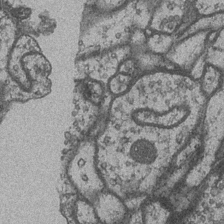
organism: Drosophila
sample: Optic medulla